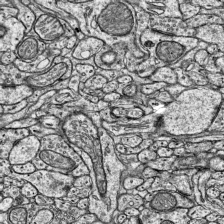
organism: Mouse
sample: Visual Cortex